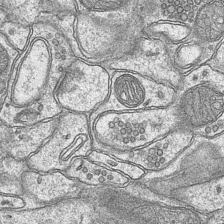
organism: Mouse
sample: CA1 Hippocampus